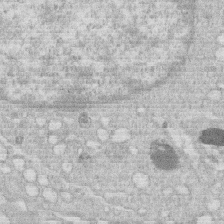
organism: Human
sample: Macrophage cells